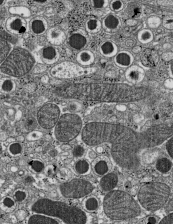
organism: C57BL Mouse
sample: Pancreatic islet